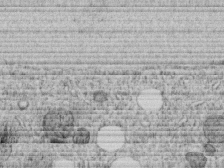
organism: C. elegans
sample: C. elegans embryo early stage